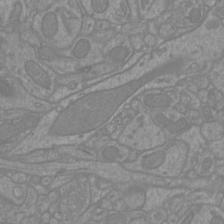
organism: Mouse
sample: Cortical neurons